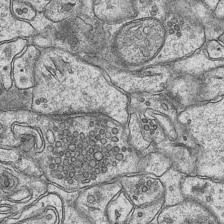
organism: Mouse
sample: CA1 Hippocampus